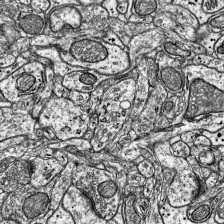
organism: Mouse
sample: Visual Cortex